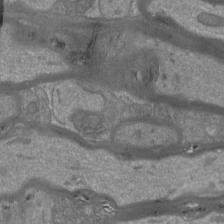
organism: Mouse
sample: Cortical neurons